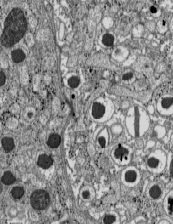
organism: C57BL Mouse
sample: Pancreatic islet